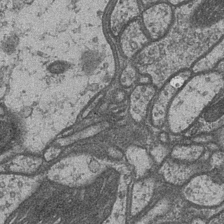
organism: Drosophila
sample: Optic medulla